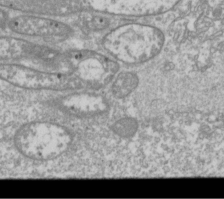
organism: Drosophila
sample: Cell division; meiosis; drosophila spermatocytes